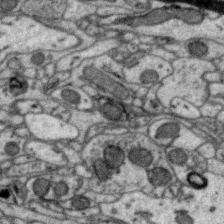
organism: Zebra finch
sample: Brain